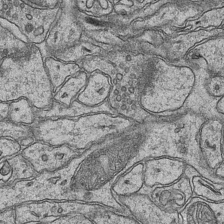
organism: Mouse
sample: CA1 Hippocampus